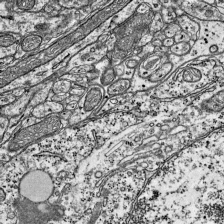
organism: Mouse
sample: Visual Cortex